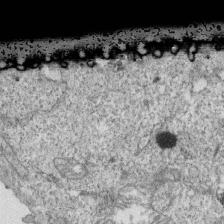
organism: Human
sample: HeLa cell HIV synapse